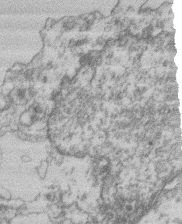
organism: Mouse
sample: T cell stromal cell synapse